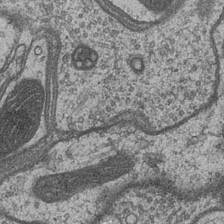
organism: Drosophila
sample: Optic medulla